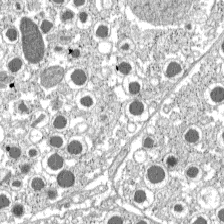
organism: C57BL Mouse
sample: Pancreatic islet